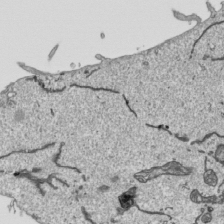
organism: Human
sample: Mitochondria in HCT116 cells